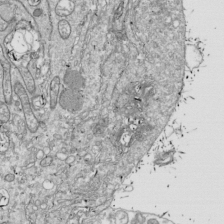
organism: Drosophila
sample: Cell division; meiosis; drosophila spermatocytes